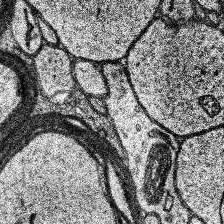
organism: Human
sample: Temporal Lobe